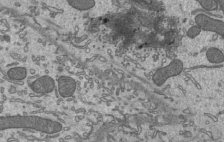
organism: Mouse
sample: Mouse epididymis efferent ductule cilia